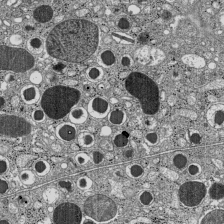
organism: C57BL Mouse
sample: Pancreatic islet